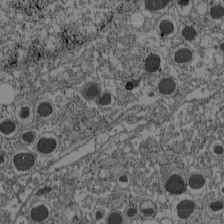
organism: C57BL Mouse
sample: Pancreatic islet